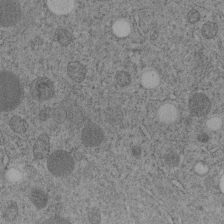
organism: C. elegans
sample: C. elegans embryo early stage